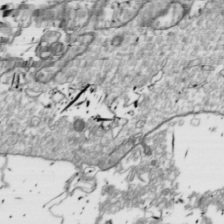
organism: Drosophila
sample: Cell division; meiosis; drosophila spermatocytes